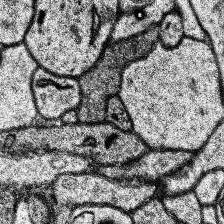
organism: Human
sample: Temporal Lobe